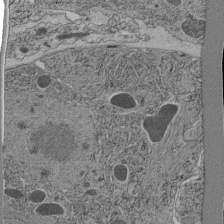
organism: C. elegans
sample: C. elegans pharynx